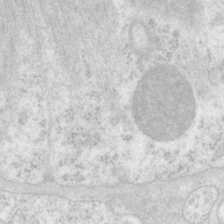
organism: P. pacificus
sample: Pharynx